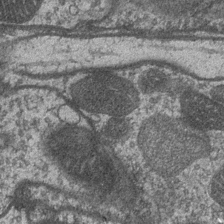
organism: Drosophila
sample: Optic medulla